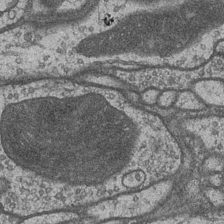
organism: Drosophila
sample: Optic medulla